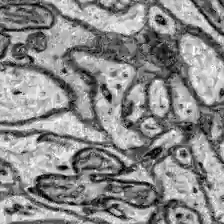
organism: Zebrafish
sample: Brain